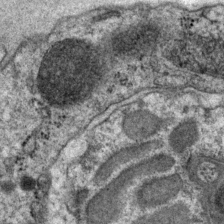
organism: P. pacificus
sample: Pharynx